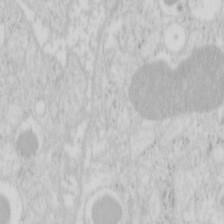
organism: Mouse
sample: Pancreas